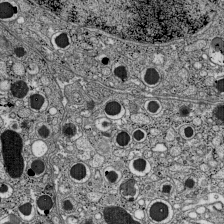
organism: C57BL Mouse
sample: Pancreatic islet